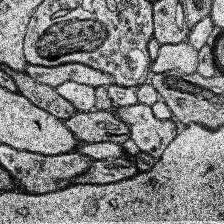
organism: Human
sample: Temporal Lobe